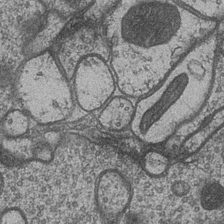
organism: Drosophila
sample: Optic medulla